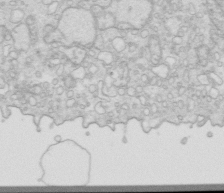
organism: Mouse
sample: Multiciliated cells